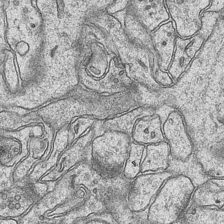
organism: Mouse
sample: CA1 Hippocampus